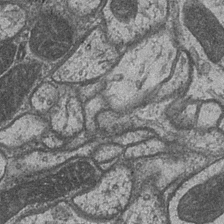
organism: Drosophila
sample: Optic medulla